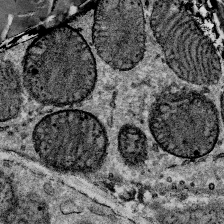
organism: Mouse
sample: Mouse Salivary gland